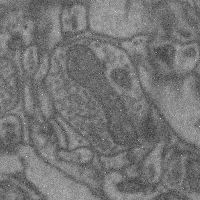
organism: Mouse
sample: Cerebral cortex